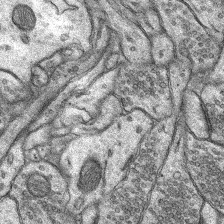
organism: Rat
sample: Hippocampus